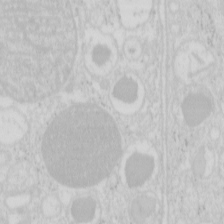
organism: Mouse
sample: Pancreas